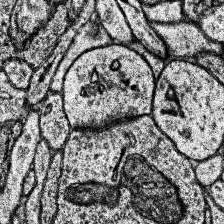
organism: Human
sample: Temporal Lobe